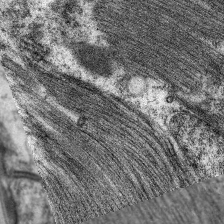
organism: C. elegans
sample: Pharynx